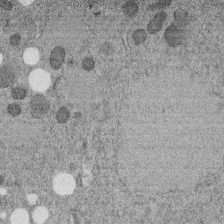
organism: C. elegans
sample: C. elegans embryo early stage